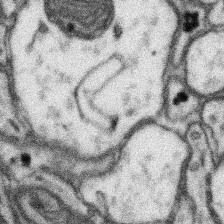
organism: Mouse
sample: Somatosensory cortex neuropil